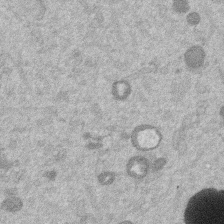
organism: Mouse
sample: Dividing mouse embryo 1 cell stage